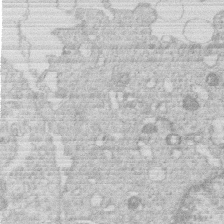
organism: Human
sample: Macrophage cells